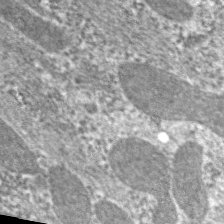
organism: C. elegans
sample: Pharynx